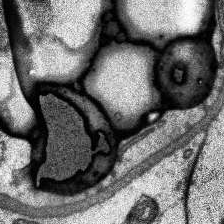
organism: Human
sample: Temporal Lobe